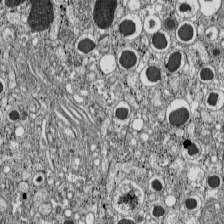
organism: C57BL Mouse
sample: Pancreatic islet